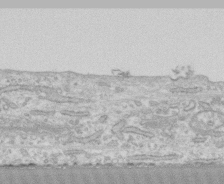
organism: Human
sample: CRL-1474